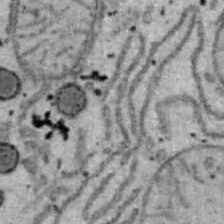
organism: Mouse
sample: Liver from an obese (ob/ob) mouse